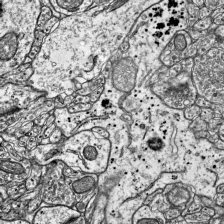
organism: Mouse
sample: Visual Cortex